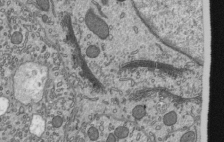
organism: Mouse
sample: Mouse epididymis efferent ductule cilia